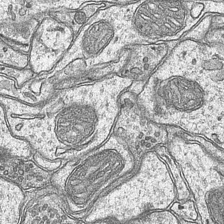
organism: Mouse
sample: CA1 Hippocampus